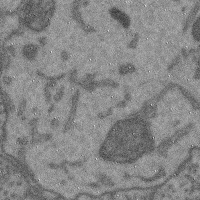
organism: Mouse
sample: Cerebral cortex